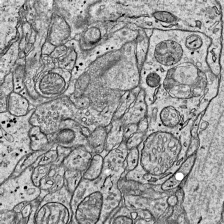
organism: Mouse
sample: Visual Cortex